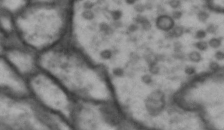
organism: Drosophila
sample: Brain